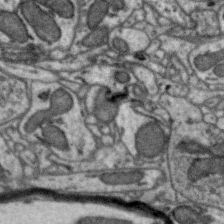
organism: Zebra finch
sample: Brain